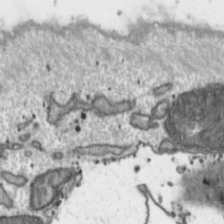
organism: Toxoplasma gondii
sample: Parasites in a vacuole inside a host cell